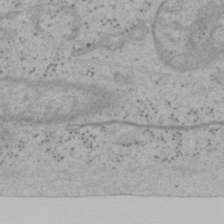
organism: Human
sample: HeLa cells